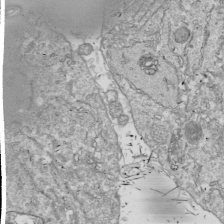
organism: Drosophila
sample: Cell division; meiosis; drosophila spermatocytes